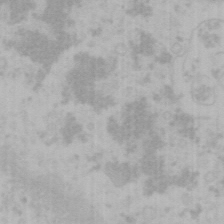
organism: Mouse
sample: Choroid plexus